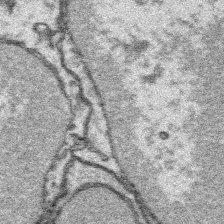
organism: Platynereis dumerilii